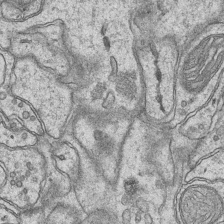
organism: Mouse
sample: CA1 Hippocampus